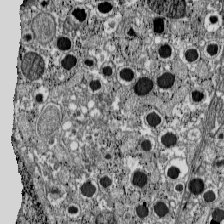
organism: C57BL Mouse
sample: Pancreatic islet